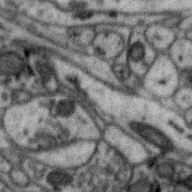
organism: Zebra finch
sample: Brain